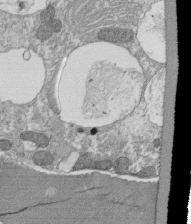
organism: Tetrahymena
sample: Cilia in tetrahymena